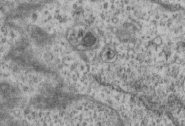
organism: Mouse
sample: Centriole in ependymal cells